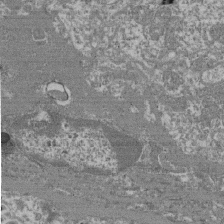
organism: Mouse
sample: Glomerulus